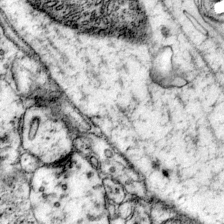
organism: Mouse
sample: Primary visual cortex